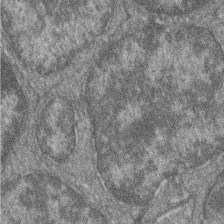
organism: Zebrafish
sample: Cilia; retinal pigment epithelium